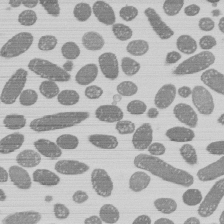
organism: E. coli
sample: Bacterial nucleoid